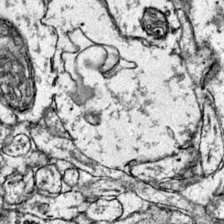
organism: Mouse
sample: Primary visual cortex